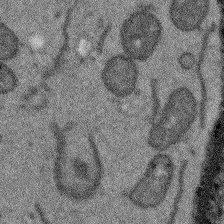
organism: Arabidopsis thaliana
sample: Root tip